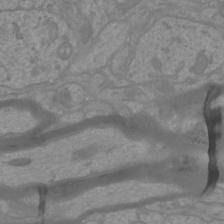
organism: Mouse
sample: Cortical neurons